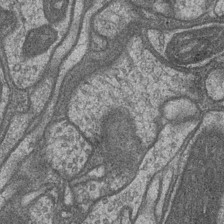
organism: Drosophila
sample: Optic medulla